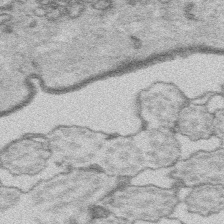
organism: Platynereis dumerilii